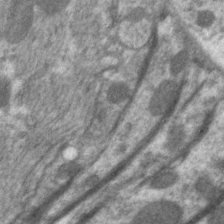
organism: C. elegans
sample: Pharynx